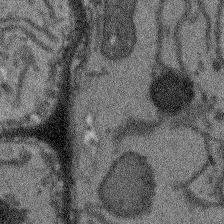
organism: Arabidopsis thaliana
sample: Root tip